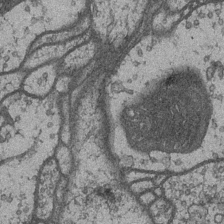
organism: Drosophila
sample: Optic medulla